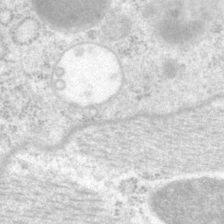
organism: P. pacificus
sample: Pharynx